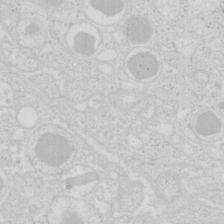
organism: Mouse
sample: Pancreas